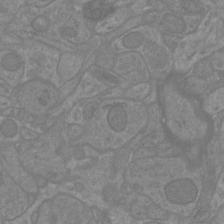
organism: Mouse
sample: Cortical neurons